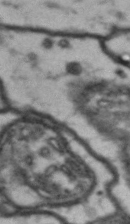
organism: Drosophila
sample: Brain